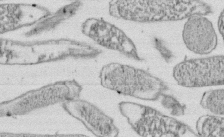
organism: E. coli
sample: Bacterial nucleoid